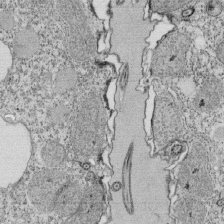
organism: Tetrahymena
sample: Cilia in tetrahymena